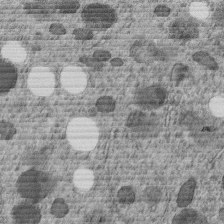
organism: C. elegans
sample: C. elegans embryo early stage